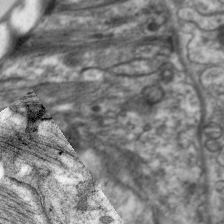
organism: C. elegans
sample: Pharynx